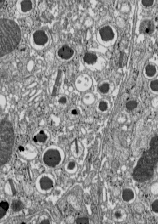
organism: C57BL Mouse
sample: Pancreatic islet